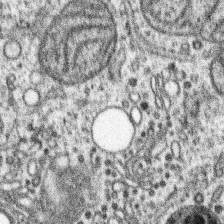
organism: Human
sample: HeLa cells